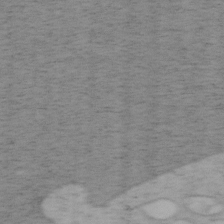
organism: Mouse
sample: OT-I killer T cells with ID8 ovarian cancer cells